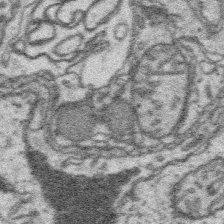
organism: Platynereis dumerilii